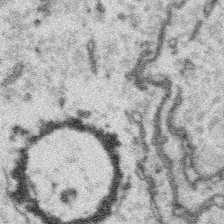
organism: Platynereis dumerilii